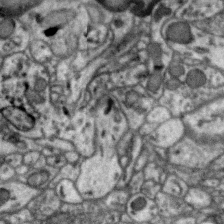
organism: Zebra finch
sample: Brain